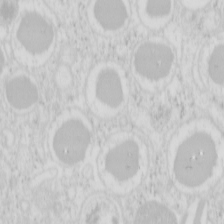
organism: Mouse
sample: Pancreas